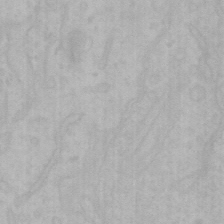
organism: Mouse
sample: Choroid plexus